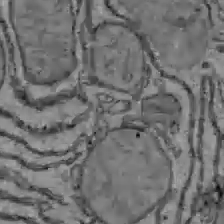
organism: C57BL Mouse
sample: Liver